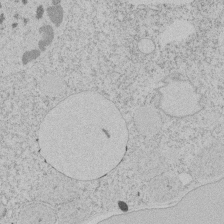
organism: Tetrahymena